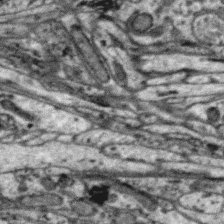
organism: Zebra finch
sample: Brain